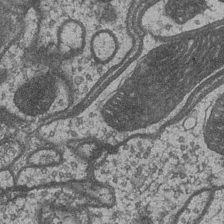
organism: Drosophila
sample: Optic medulla